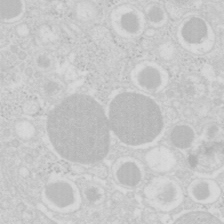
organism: Mouse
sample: Pancreas